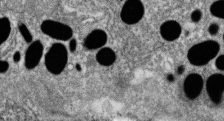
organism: Zebrafish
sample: Cilia; retinal pigment epithelium